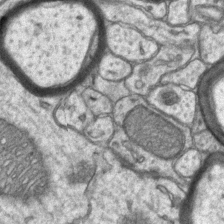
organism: Mouse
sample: CA1 Hippocampus